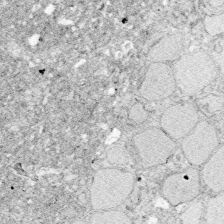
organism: Zebrafish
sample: Whole-Brain